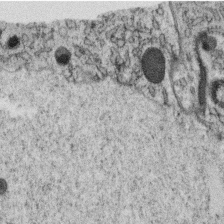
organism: C. elegans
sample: C. elegans oocyte; sperm cells